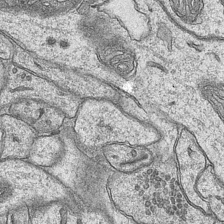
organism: Mouse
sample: CA1 Hippocampus